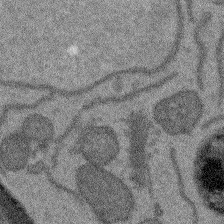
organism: Arabidopsis thaliana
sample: Root tip